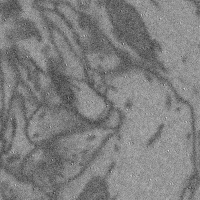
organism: Mouse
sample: Cerebral cortex